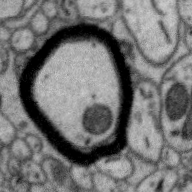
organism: Zebra finch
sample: Brain